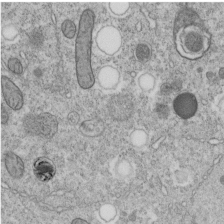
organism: C. elegans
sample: C. elegans embryo early stage